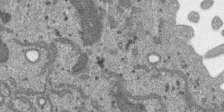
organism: Human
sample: Lung epithelial cells infected with SARS-CoV-2